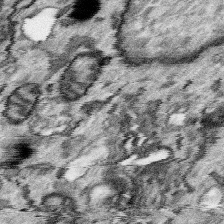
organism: Human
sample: HeLa cells